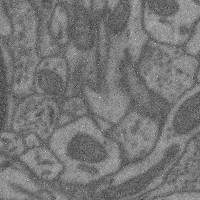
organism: Mouse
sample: Cerebral cortex